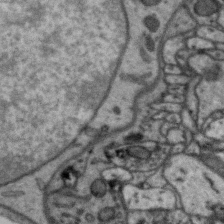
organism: Zebra finch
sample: Brain